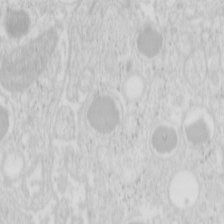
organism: Mouse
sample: Pancreas